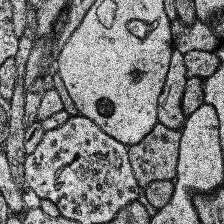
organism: Human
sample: Temporal Lobe